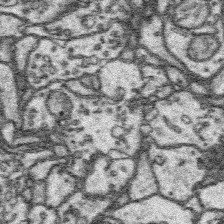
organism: Platynereis dumerilii